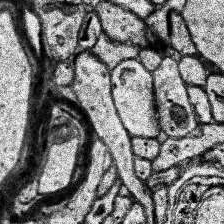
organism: Human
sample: Temporal Lobe